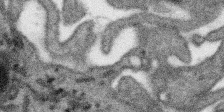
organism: Human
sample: Lung epithelial cells infected with SARS-CoV-2